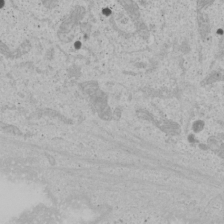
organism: Human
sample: Mitochondria in U2OS cells